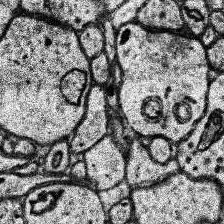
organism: Human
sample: Temporal Lobe